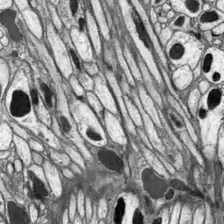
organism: Drosophila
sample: Optic lobe